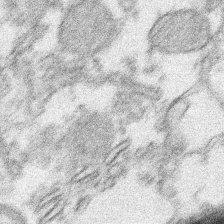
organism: Xenopus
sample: Cilia; centrioles in frog embryo cells